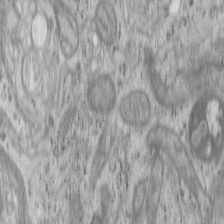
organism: Human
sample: HeLa cells